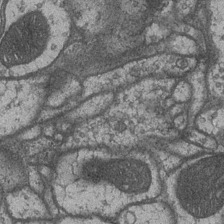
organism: Drosophila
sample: Optic medulla